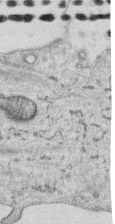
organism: Human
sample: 1205lu cells